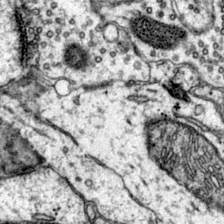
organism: Mouse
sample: Primary visual cortex